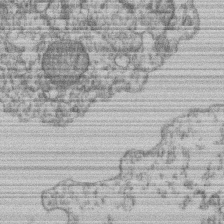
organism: Mouse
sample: T cell stromal cell synapse